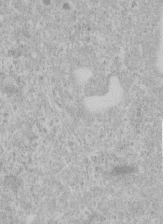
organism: Human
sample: Centriole in RPE cells